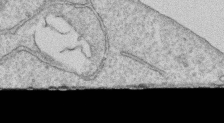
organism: Human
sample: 1205lu cells